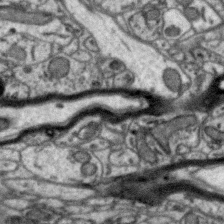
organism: Zebra finch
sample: Brain